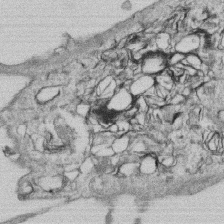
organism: Human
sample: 1205lu cells